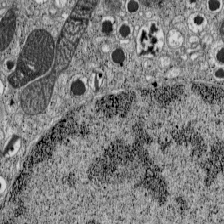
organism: C57BL Mouse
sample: Pancreatic islet